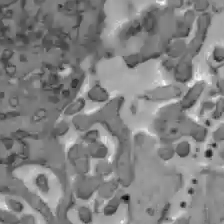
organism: C57BL Mouse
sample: Liver